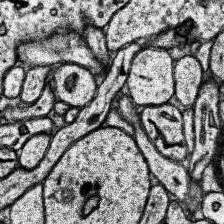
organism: Human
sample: Temporal Lobe